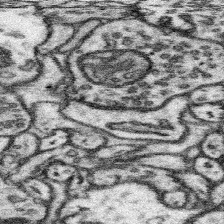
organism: Mouse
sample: Somatosensory cortex neuropil